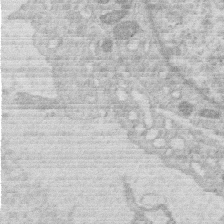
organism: Human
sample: Macrophage cells